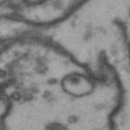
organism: Drosophila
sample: Brain